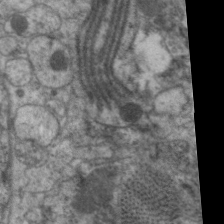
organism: C. elegans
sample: Pharynx